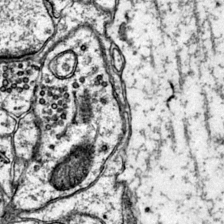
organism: Mouse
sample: Primary visual cortex